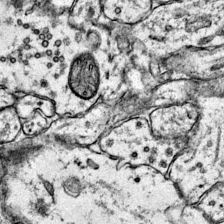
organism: Mouse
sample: Primary visual cortex